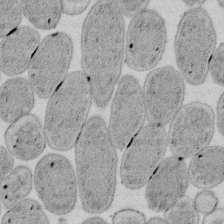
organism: E. coli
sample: Bacterial nucleoid